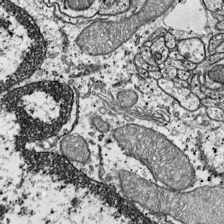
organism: Mouse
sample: Visual Cortex